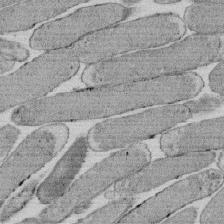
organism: E. coli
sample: Bacterial nucleoid